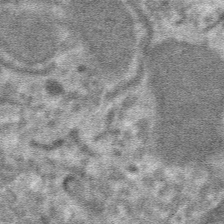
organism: Mouse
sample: Mouse hepatocytes